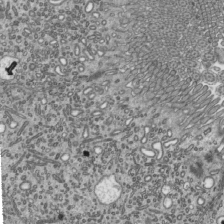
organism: Mouse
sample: Mouse epididymis efferent ductule cilia